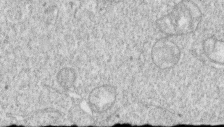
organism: Human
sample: HeLa cell HIV synapse